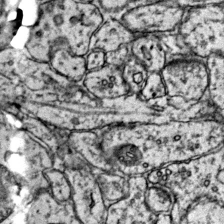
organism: Mouse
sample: Primary visual cortex